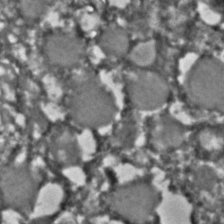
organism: C. elegans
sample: C. elegans embryo